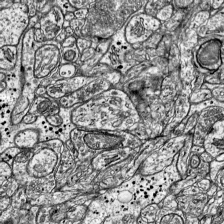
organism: Mouse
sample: Visual Cortex